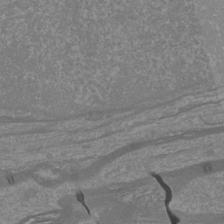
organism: Mouse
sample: Cortical neurons